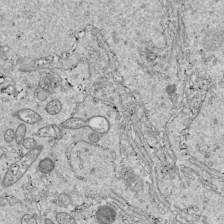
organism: Drosophila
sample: Cell division; meiosis; drosophila spermatocytes